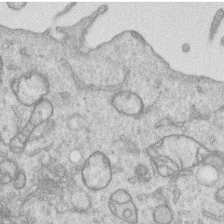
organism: Human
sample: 1205lu cells